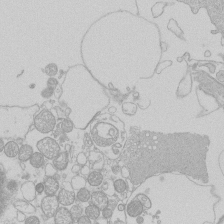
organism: Human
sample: Macrophage cells